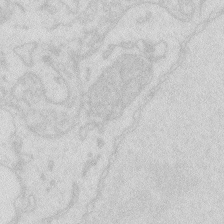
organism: Zebrafish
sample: Macrophage